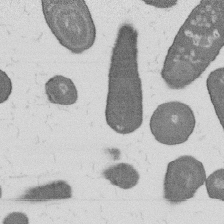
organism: B. subtilis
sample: Bacterial spore